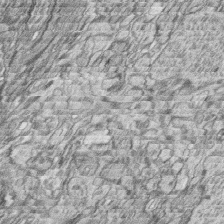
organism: Zebrafish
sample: synaptic ribbons in rod cells and cone cells